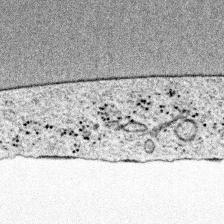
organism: Human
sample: HeLa cells